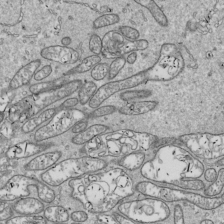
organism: Drosophila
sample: Cell division; meiosis; drosophila spermatocytes